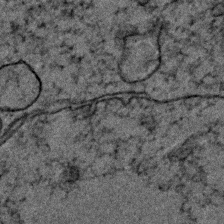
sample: Trachea